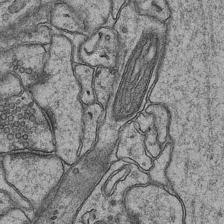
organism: Mouse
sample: CA1 Hippocampus